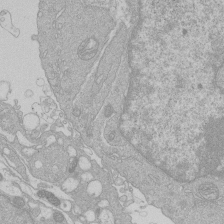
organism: Human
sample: Macrophage cells